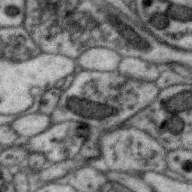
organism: Zebra finch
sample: Brain